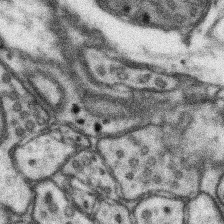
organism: Mouse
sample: Somatosensory cortex neuropil